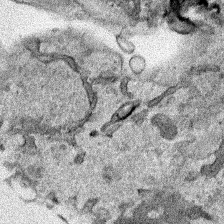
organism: Human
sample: Mitochondria in HCT116 cells